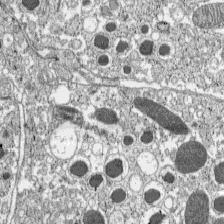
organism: C57BL Mouse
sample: Pancreatic islet